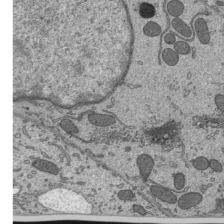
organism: Mouse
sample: Mouse epididymis efferent ductule cilia